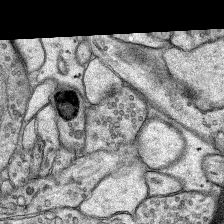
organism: Rat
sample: Hippocampus